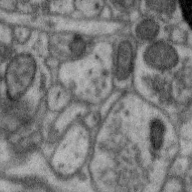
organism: Zebra finch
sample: Brain